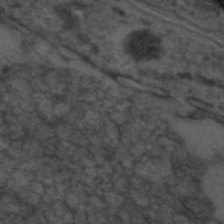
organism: C. elegans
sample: C. elegans embryo